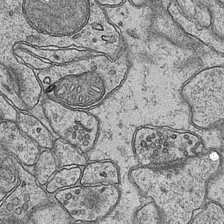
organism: Mouse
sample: CA1 Hippocampus